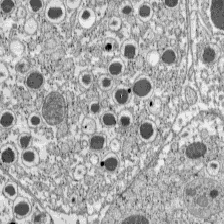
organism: C57BL Mouse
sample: Pancreatic islet